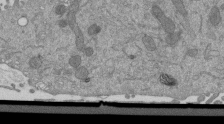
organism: Mouse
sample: ED-1 cell nuclei; centrioles